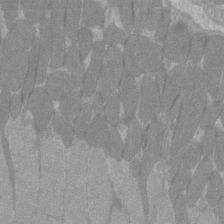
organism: C57BL Mouse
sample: Tibialis anterior muscle cell